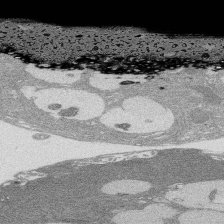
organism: Rat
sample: Salivary granule